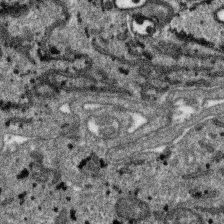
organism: Human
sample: Lung epithelial cells infected with SARS-CoV-2